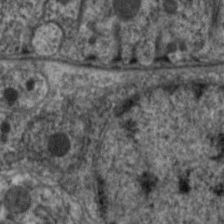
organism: C. elegans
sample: Pharynx